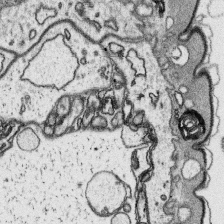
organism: Platynereis dumerilii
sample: Parapodia